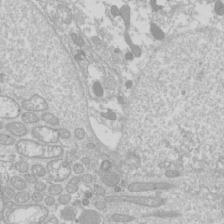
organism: Drosophila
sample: Cell division; meiosis; drosophila spermatocytes